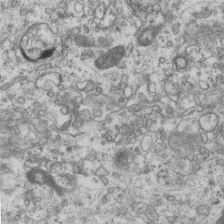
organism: Mouse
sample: Centriole in ependymal cells